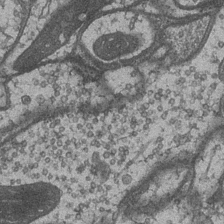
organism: Drosophila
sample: Optic medulla